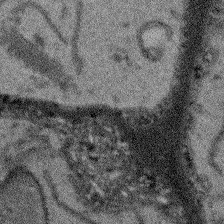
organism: Arabidopsis thaliana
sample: Root tip